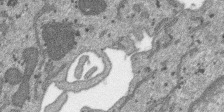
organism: Human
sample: Lung epithelial cells infected with SARS-CoV-2